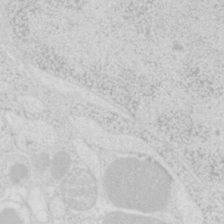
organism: Mouse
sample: Pancreas